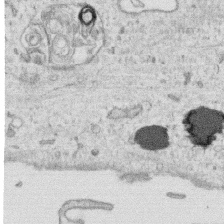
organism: Human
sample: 1205lu cells